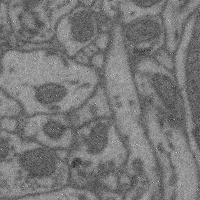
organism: Mouse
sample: Cerebral cortex